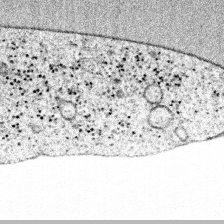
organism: Human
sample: HeLa cells